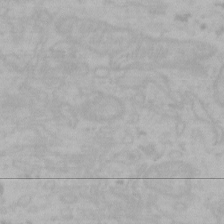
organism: Mouse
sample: Choroid plexus